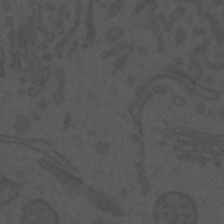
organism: Mouse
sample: Suprachiasmatic nucleus